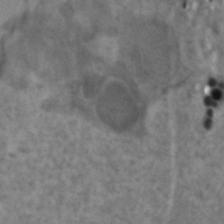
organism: Zebrafish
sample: Zebrafish embryo